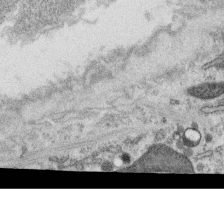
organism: C. elegans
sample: C. elegans oocyte; sperm cells